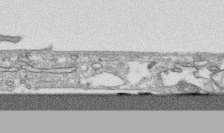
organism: Human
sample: CRL-1474